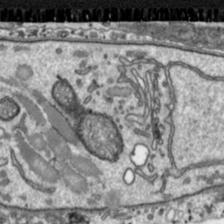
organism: Toxoplasma gondii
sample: Parasites in a vacuole inside a host cell